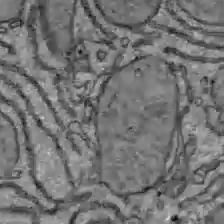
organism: C57BL Mouse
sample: Liver